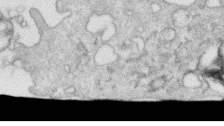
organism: Human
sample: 1205lu cells